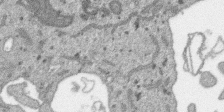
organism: Human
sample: Lung epithelial cells infected with SARS-CoV-2